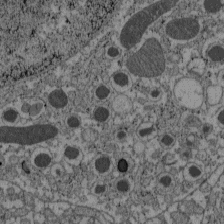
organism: C57BL Mouse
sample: Pancreatic islet